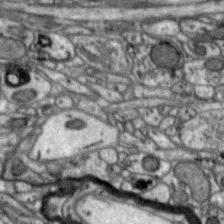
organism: Zebra finch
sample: Brain